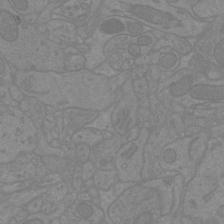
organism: Mouse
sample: Cortical neurons